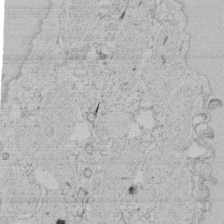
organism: Tetrahymena